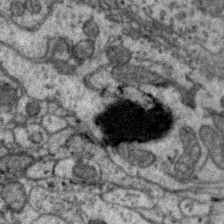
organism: Zebra finch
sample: Brain